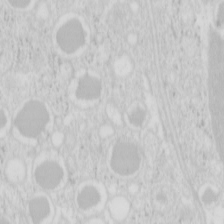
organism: Mouse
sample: Pancreas